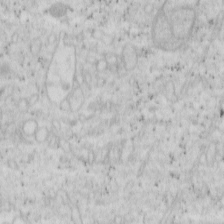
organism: Human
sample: HeLa cells